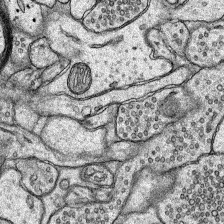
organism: Rat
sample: Hippocampus